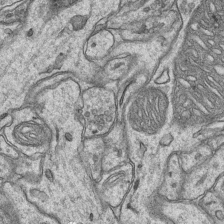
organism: Mouse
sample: CA1 Hippocampus